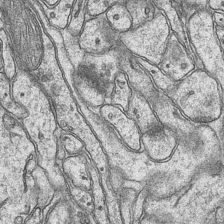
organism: Mouse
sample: CA1 Hippocampus